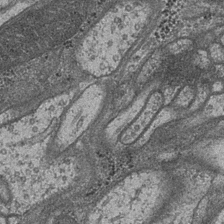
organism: Drosophila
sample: Optic medulla